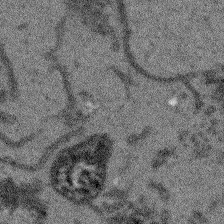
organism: Arabidopsis thaliana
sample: Root tip